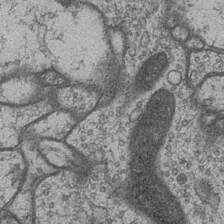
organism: Drosophila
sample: Optic medulla